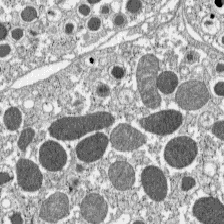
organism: C57BL Mouse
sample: Pancreatic islet